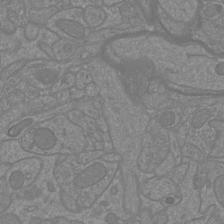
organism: Mouse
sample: Cortical neurons